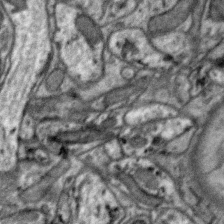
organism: Zebra finch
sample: Brain